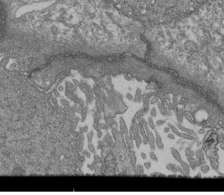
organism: Human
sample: Retinal organoid Rod and Cone cells